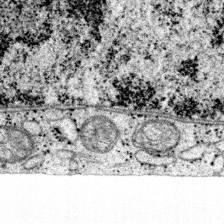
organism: Human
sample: HeLa cells